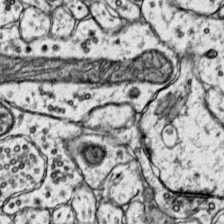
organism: Mouse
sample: Primary visual cortex